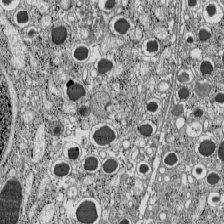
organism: C57BL Mouse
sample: Pancreatic islet